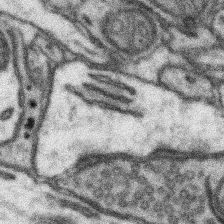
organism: Mouse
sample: Somatosensory cortex neuropil